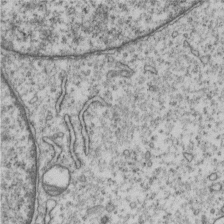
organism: Human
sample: MDA-MB-231 cells